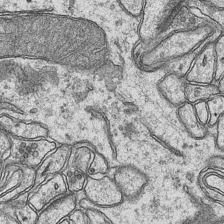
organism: Mouse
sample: CA1 Hippocampus